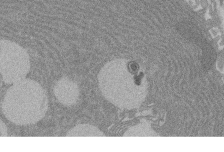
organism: Rat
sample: Salivary granule